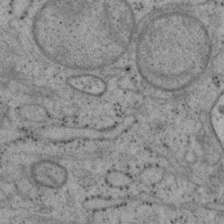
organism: Human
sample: HeLa cells